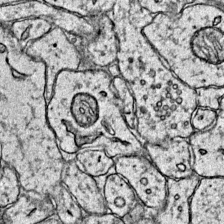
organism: Mouse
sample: Primary visual cortex